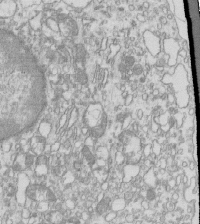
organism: Mouse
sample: Macrophages